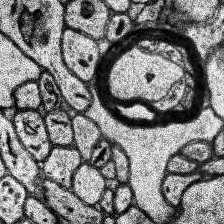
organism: Human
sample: Temporal Lobe